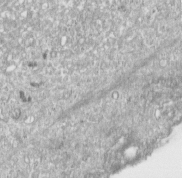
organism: Human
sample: Centriole in RPE cells